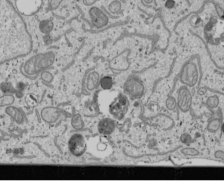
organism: Human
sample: Mitochondria in U2OS cells